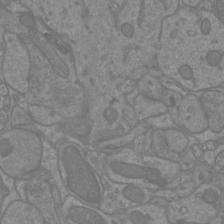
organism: Mouse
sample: Cortical neurons